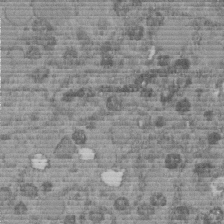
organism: C. elegans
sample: C. elegans embryo early stage